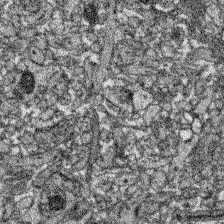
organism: Zebrafish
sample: Larval olfactory bulb